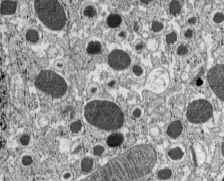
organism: C57BL Mouse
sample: Pancreatic islet